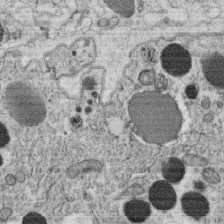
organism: C. elegans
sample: C. elegans oocyte; sperm cells